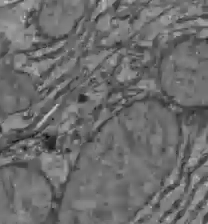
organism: C57BL Mouse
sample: Liver